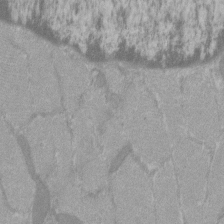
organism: C57BL Mouse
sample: Tibialis anterior muscle cell